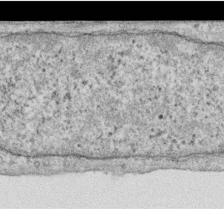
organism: Human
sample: Centriole in RPE cells